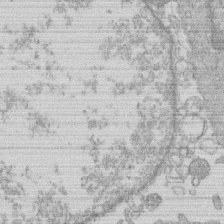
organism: Human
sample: Macrophage cells